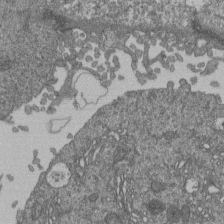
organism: Human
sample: Retinal organoid Rod and Cone cells